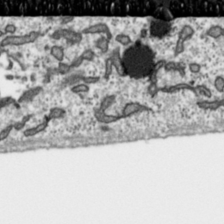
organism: Toxoplasma gondii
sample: Parasites in a vacuole inside a host cell